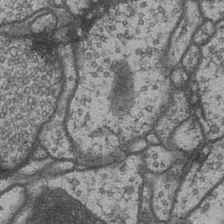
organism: Drosophila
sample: Optic medulla